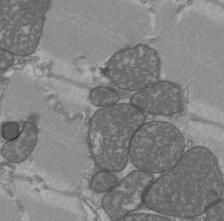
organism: C57BL Mouse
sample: Heart